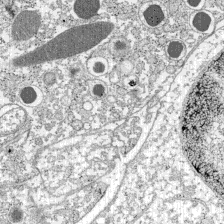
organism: C57BL Mouse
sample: Pancreatic islet